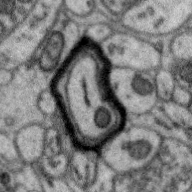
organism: Zebra finch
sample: Brain